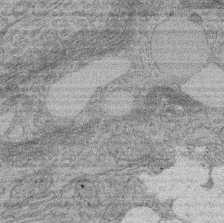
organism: Rat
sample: Salivary granule